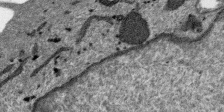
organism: Human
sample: Lung epithelial cells, uninfected (mock) control